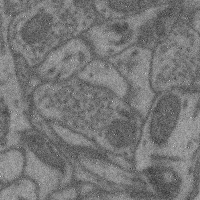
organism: Mouse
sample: Cerebral cortex